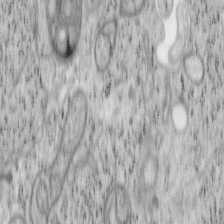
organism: Human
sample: HeLa cells